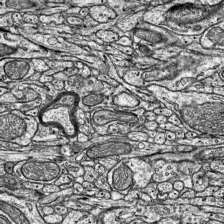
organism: Mouse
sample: Visual Cortex